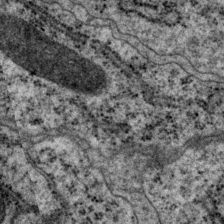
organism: P. pacificus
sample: Pharynx